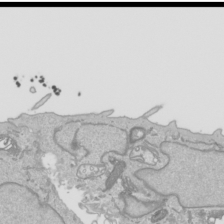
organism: Human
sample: Mitochondria in HCT116 cells